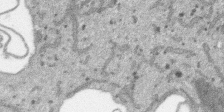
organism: Human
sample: Lung epithelial cells infected with SARS-CoV-2